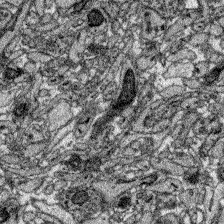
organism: Zebrafish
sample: Larval olfactory bulb